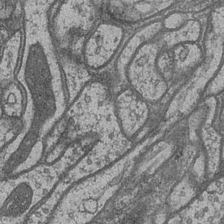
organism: Drosophila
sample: Optic medulla